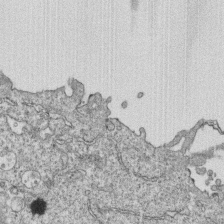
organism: Human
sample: HeLa cell HIV synapse